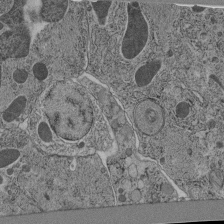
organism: C. elegans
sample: C. elegans pharynx